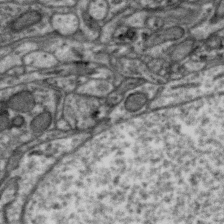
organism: Zebra finch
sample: Brain